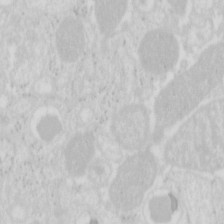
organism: Mouse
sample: Pancreas